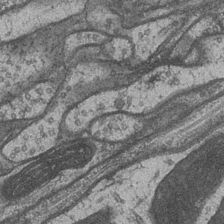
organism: Drosophila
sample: Optic medulla